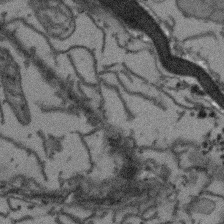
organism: Arabidopsis thaliana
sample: Root tip